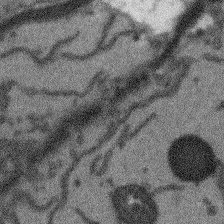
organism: Arabidopsis thaliana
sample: Root tip